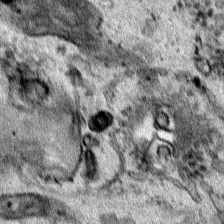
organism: Human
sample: Mitochondria in HCT116 cells